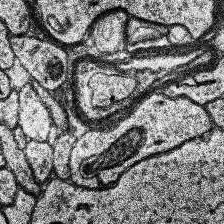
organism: Human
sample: Temporal Lobe